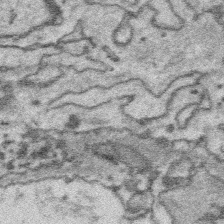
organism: Platynereis dumerilii